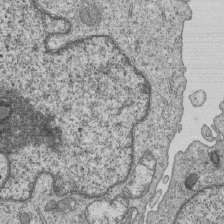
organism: Human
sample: MDA-MB-231 cells